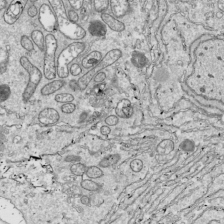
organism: Drosophila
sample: Cell division; meiosis; drosophila spermatocytes